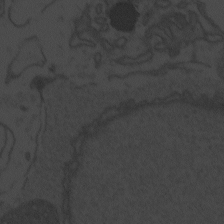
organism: Zebrafish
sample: Macrophage infected with Toxoplasma gondii